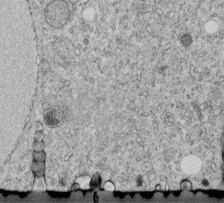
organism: C. elegans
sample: C. elegans embryo early stage